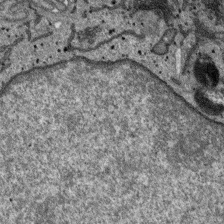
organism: Human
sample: Lung epithelial cells, uninfected (mock) control